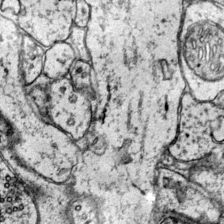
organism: Mouse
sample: Primary visual cortex